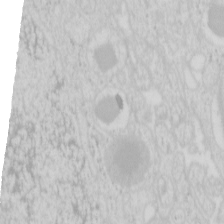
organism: Mouse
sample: Pancreas